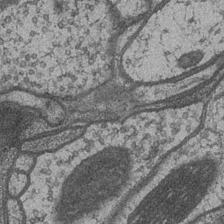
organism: Drosophila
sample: Optic medulla